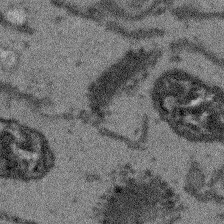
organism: Arabidopsis thaliana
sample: Root tip